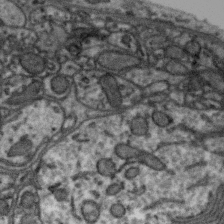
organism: Zebra finch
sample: Brain